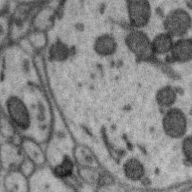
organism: Zebra finch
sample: Brain